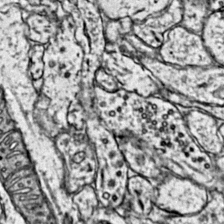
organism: Mouse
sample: Primary visual cortex